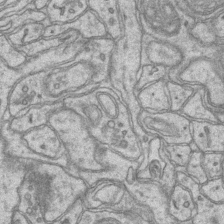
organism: Mouse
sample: CA1 Hippocampus